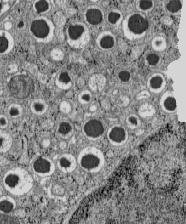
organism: C57BL Mouse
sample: Pancreatic islet